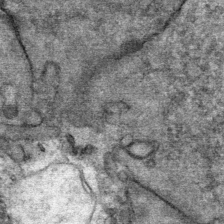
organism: Mouse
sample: Mouse Salivary gland